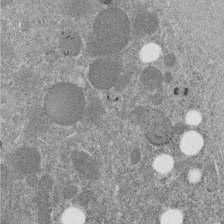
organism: C. elegans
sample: C. elegans embryo early stage